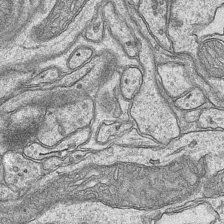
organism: Mouse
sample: CA1 Hippocampus